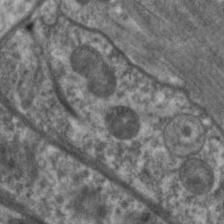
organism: C. elegans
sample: Pharynx